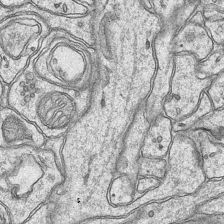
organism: Mouse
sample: CA1 Hippocampus